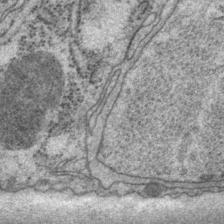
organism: P. pacificus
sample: Pharynx